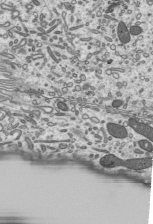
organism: Mouse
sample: Mouse epididymis efferent ductule cilia